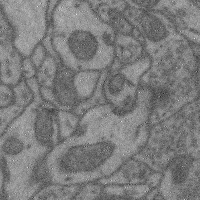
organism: Mouse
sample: Cerebral cortex